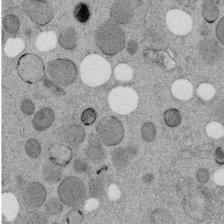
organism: C. elegans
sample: C. elegans embryo early stage